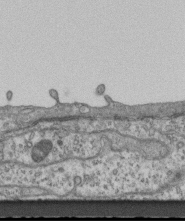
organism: Mouse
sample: Centriole in ependymal cells